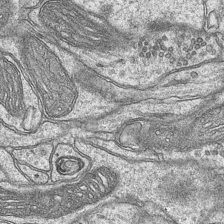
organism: Mouse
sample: CA1 Hippocampus